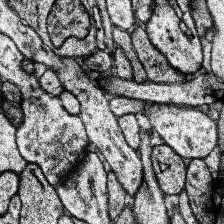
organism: Human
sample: Temporal Lobe